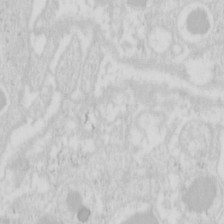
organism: Mouse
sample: Pancreas